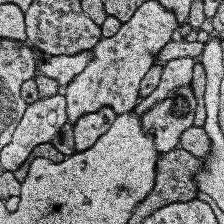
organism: Human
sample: Temporal Lobe